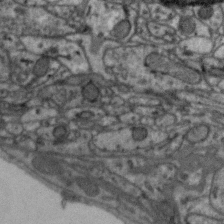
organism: Zebra finch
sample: Brain